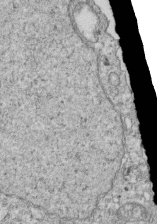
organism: Human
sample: HeLa cell HIV synapse